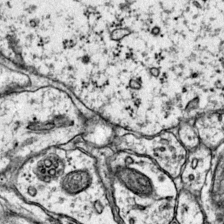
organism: Mouse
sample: Primary visual cortex